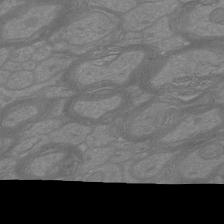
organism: Mouse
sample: Cortical neurons